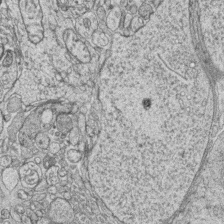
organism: Zebrafish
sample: synaptic ribbons in rod cells and cone cells